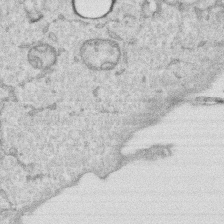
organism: Human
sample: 1205lu cells